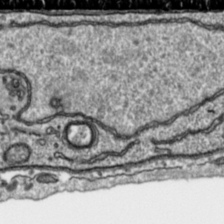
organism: Toxoplasma gondii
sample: Parasites in a vacuole inside a host cell